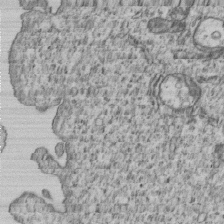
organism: Human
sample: MDA-MB-231 cells